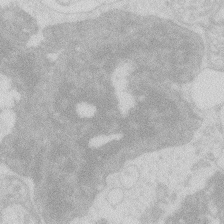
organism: Zebrafish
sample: Macrophage